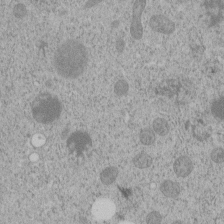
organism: C. elegans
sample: C. elegans embryo early stage